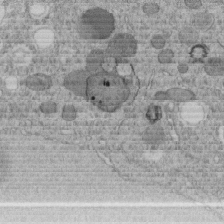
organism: C. elegans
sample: C. elegans embryo early stage